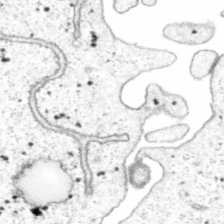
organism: Human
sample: HeLa cells